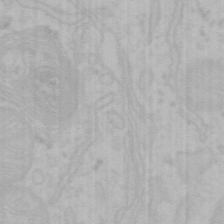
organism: Mouse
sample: Choroid plexus